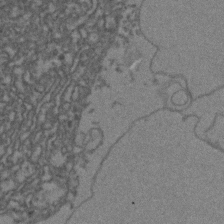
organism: Zebrafish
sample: Zebrafish embryo